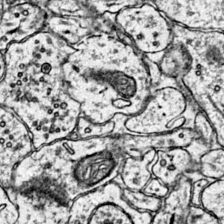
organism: Mouse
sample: Primary visual cortex